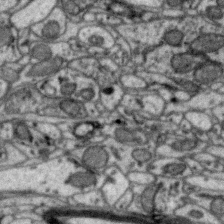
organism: Zebra finch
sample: Brain